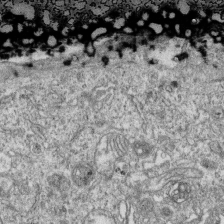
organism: Human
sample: HeLa cell HIV synapse